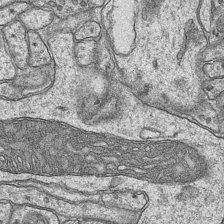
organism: Mouse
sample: CA1 Hippocampus